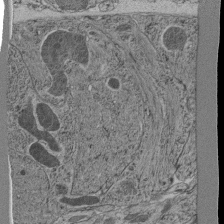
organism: C. elegans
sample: C. elegans pharynx